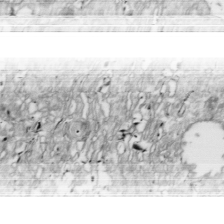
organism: Drosophila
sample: Cell division; meiosis; drosophila spermatocytes